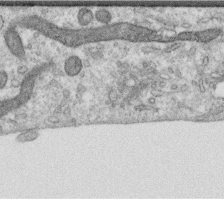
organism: Human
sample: Centriole in RPE cells